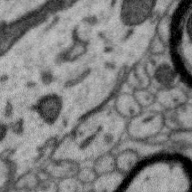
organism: Zebra finch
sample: Brain